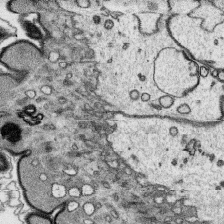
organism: Platynereis dumerilii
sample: Parapodia